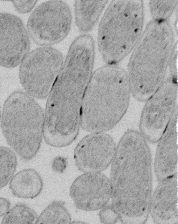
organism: E. coli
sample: Bacterial nucleoid